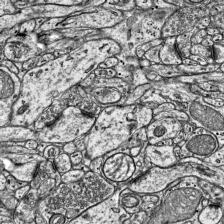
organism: Mouse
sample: Visual Cortex